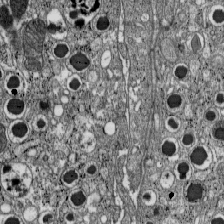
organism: C57BL Mouse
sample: Pancreatic islet